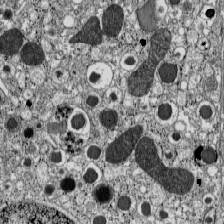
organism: C57BL Mouse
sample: Pancreatic islet